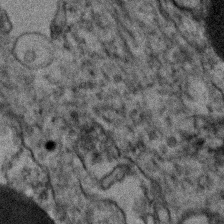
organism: Human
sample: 1205lu cells